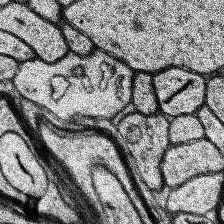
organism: Human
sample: Temporal Lobe